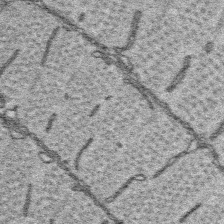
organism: Platynereis dumerilii